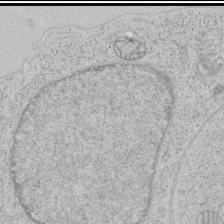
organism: Human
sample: Mitochondria in HCT116 cells